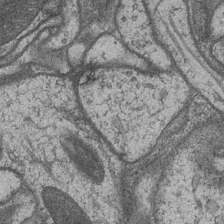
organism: Drosophila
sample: Optic medulla